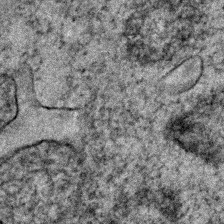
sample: Trachea